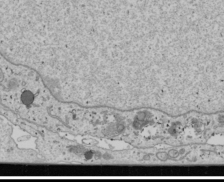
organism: Human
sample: Mitochondria in U2OS cells